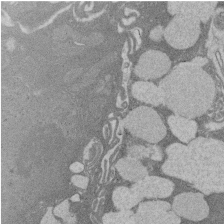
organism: Rat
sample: Salivary granule